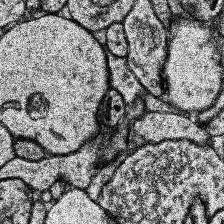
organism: Human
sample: Temporal Lobe